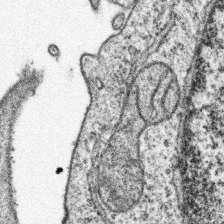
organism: Human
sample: HeLa cells